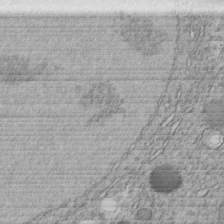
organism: C. elegans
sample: C. elegans embryo early stage